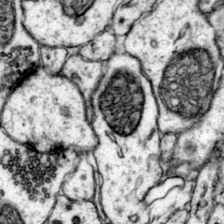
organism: Mouse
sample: Primary visual cortex